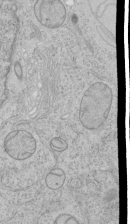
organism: Human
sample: Mitochondria in HCT116 cells